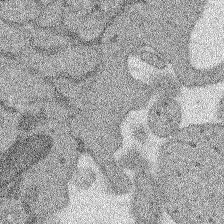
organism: Human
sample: HeLa cells